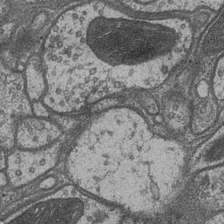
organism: Drosophila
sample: Optic medulla